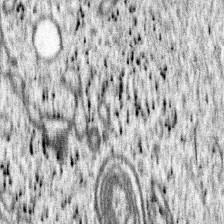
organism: Human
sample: HeLa cells